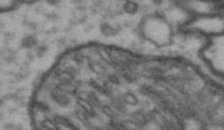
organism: Drosophila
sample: Brain